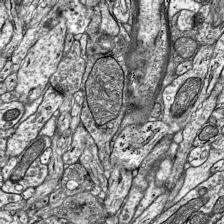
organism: Mouse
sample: Visual Cortex